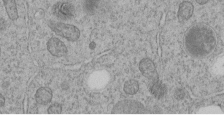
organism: C. elegans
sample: C. elegans embryo early stage